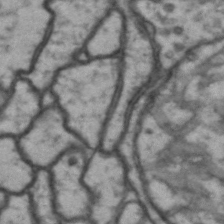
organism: Drosophila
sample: Brain